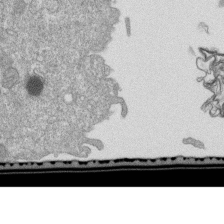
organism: Human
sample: HeLa cell HIV synapse